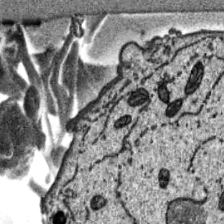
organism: Human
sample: HeLa cells